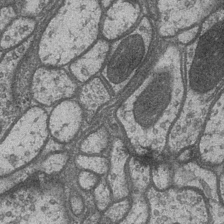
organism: Drosophila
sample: Optic medulla